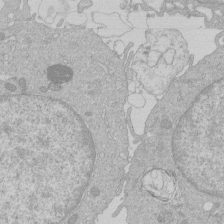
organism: Human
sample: Macrophage cells